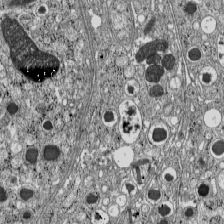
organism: C57BL Mouse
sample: Pancreatic islet